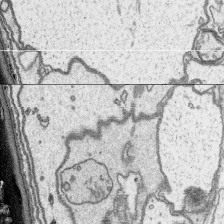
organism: Platynereis dumerilii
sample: Parapodia